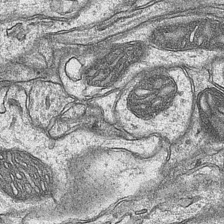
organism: Mouse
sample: CA1 Hippocampus